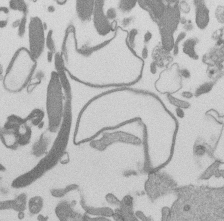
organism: Mouse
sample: Dividing mouse embryo 1 cell stage